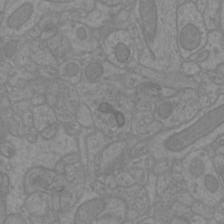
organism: Mouse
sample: Cortical neurons